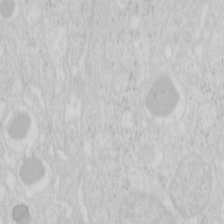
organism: Mouse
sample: Pancreas